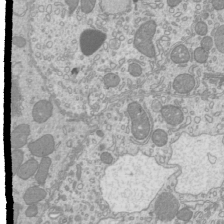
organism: Mouse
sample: Cilia; mouse epididymis